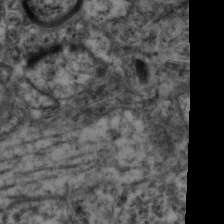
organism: Mouse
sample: Neocortex